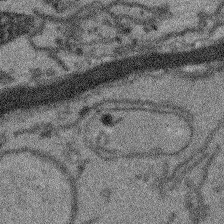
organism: Arabidopsis thaliana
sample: Root tip